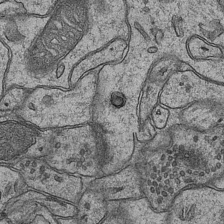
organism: Mouse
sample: CA1 Hippocampus